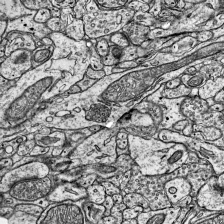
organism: Mouse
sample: Visual Cortex